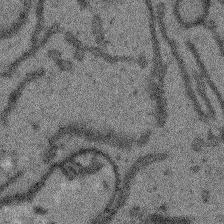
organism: Arabidopsis thaliana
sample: Root tip